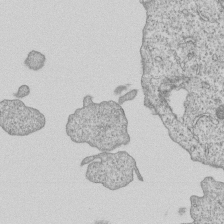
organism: Human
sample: MDA-MB-231 cells